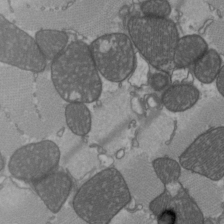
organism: C57BL Mouse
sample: Heart